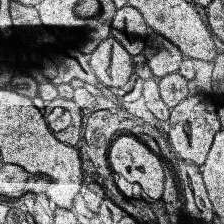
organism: Human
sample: Temporal Lobe